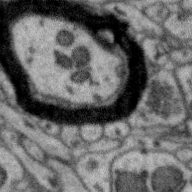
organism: Zebra finch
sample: Brain